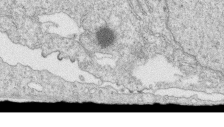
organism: Human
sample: HeLa cell HIV synapse